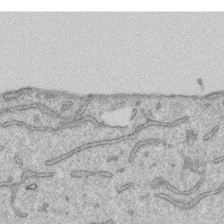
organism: Human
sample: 1205lu cells